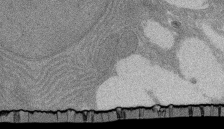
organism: Rat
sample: Salivary granule